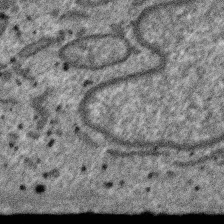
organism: Human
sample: Lung epithelial cells infected with SARS-CoV-2